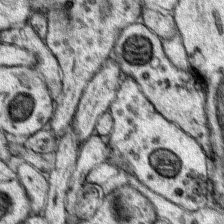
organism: Mouse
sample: Primary visual cortex